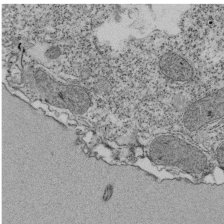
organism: Tetrahymena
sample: Cilia in tetrahymena